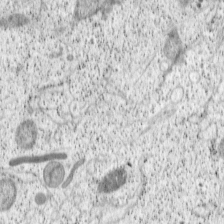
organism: African green monkey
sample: COS-7 cells